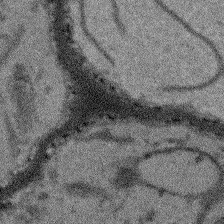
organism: Arabidopsis thaliana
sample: Root tip